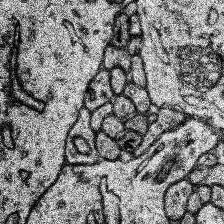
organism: Human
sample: Temporal Lobe